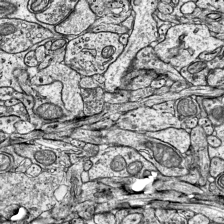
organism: Mouse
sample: Visual Cortex